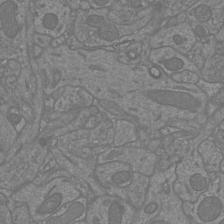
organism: Mouse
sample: Cortical neurons